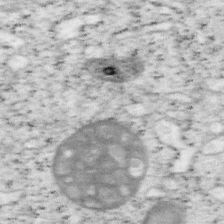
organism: Mouse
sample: OT-I killer T cells with ID8 ovarian cancer cells